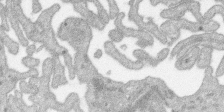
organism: Human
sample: Lung epithelial cells infected with SARS-CoV-2